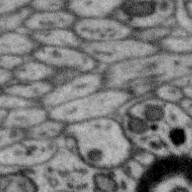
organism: Zebra finch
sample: Brain